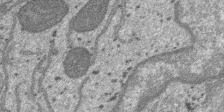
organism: Human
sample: Lung epithelial cells infected with SARS-CoV-2